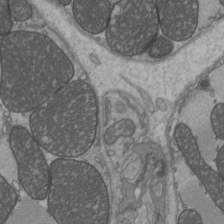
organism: C57BL Mouse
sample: Heart